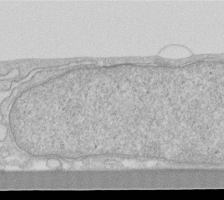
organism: Human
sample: Fibroblast cells